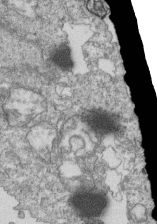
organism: Human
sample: HeLa cell HIV synapse